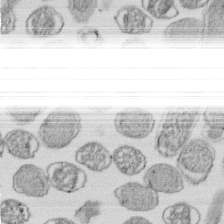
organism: E. coli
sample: Bacterial nucleoid